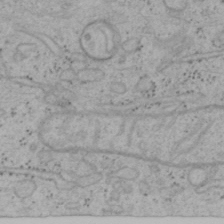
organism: Human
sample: HeLa cells